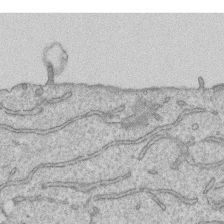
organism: Human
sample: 1205lu cells